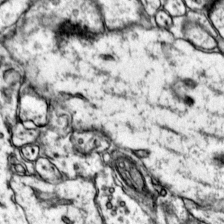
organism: Mouse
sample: Primary visual cortex